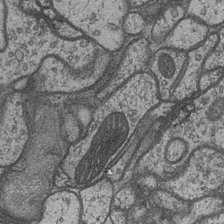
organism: Drosophila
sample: Optic medulla